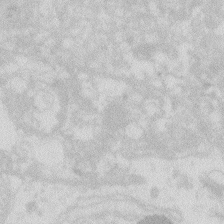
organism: Zebrafish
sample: Macrophage